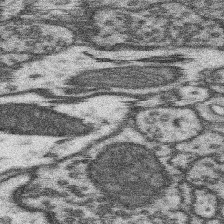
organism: Mouse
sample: Somatosensory cortex neuropil